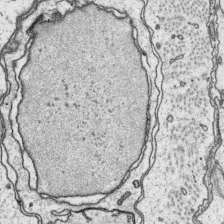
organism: Platynereis dumerilii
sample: Parapodia